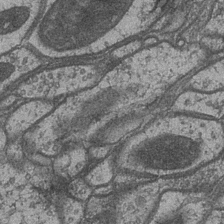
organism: Drosophila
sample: Optic medulla